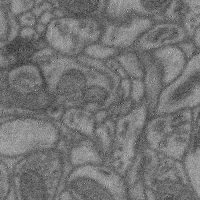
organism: Mouse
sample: Cerebral cortex